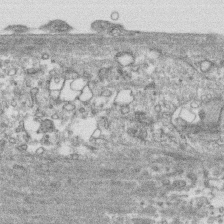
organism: Human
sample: CRL-1474